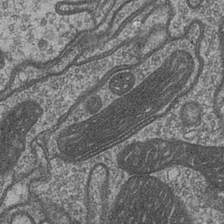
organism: Drosophila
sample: Optic medulla